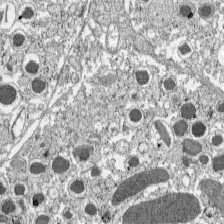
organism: C57BL Mouse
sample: Pancreatic islet